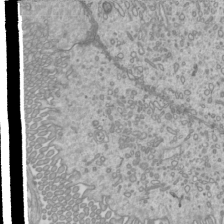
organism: Mouse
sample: Cilia; mouse epididymis